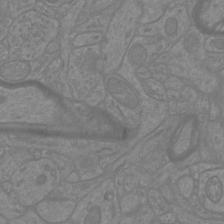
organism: Mouse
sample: Cortical neurons